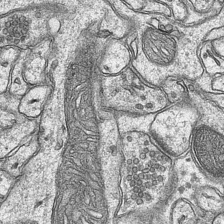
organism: Mouse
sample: CA1 Hippocampus